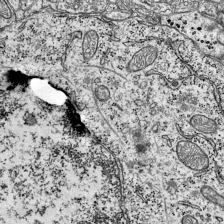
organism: Mouse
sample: Visual Cortex